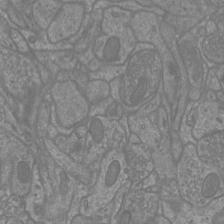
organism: Mouse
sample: Cortical neurons